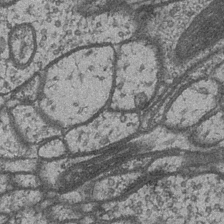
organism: Drosophila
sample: Optic medulla